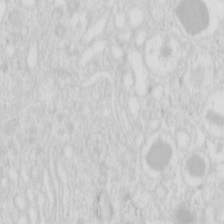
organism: Mouse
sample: Pancreas